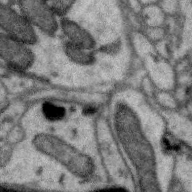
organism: Zebra finch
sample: Brain